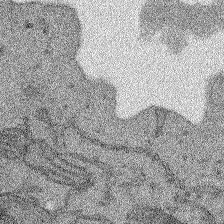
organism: Human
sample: HeLa cells